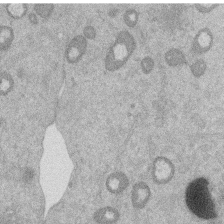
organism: Mouse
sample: Dividing mouse embryo 1 cell stage